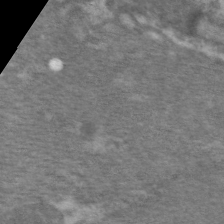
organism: C. elegans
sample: Pharynx